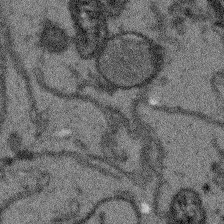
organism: Arabidopsis thaliana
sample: Root tip